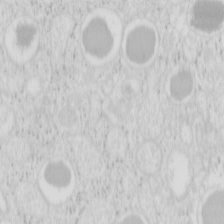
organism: Mouse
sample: Pancreas